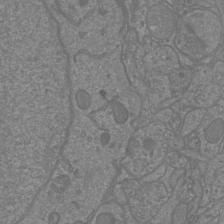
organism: Mouse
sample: Cortical neurons